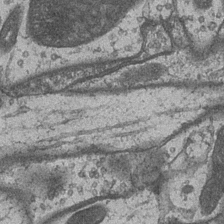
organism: Drosophila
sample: Optic medulla